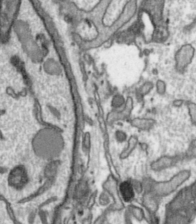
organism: Toxoplasma gondii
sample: Parasites in a vacuole inside a host cell